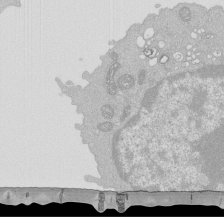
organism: Mouse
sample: Activated Pmel transgenic CD8+ T Cells